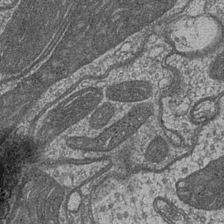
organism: Drosophila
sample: Optic medulla